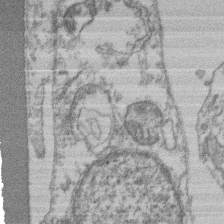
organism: Mouse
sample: T cell stromal cell synapse